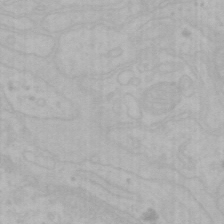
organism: Mouse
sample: Choroid plexus